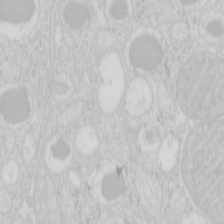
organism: Mouse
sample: Pancreas